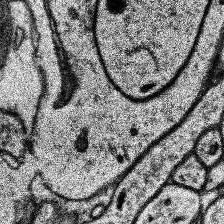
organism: Human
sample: Temporal Lobe